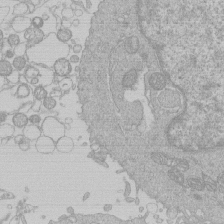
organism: Human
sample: Macrophage cells